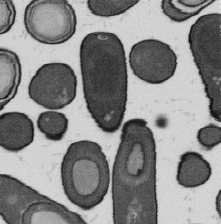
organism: B. subtilis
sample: Bacterial spore